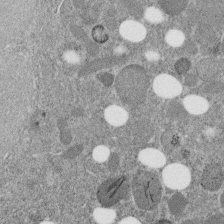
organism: C. elegans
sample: C. elegans embryo early stage